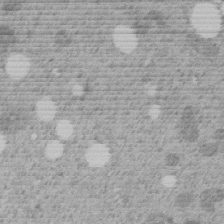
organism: C. elegans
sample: C. elegans embryo early stage